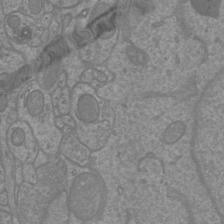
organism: Mouse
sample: Cortical neurons